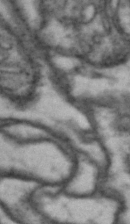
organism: Drosophila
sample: Brain